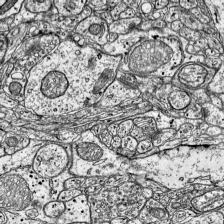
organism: Mouse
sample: Visual Cortex